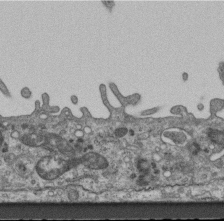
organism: Mouse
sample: Centriole in ependymal cells